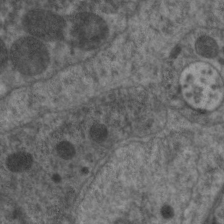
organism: C. elegans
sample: Pharynx